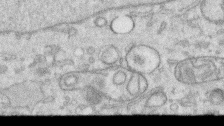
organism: Human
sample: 1205lu cells